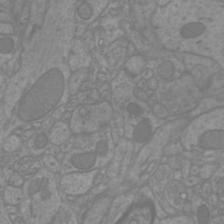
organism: Mouse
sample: Cortical neurons